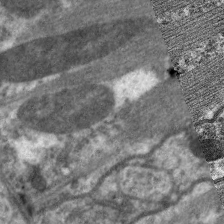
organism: C. elegans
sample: Pharynx